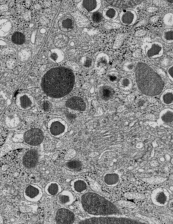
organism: C57BL Mouse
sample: Pancreatic islet